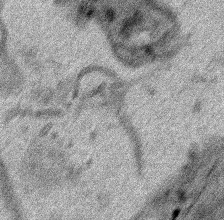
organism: Human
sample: Mitochondria in HCT116 cells